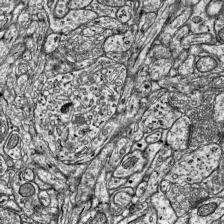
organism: Mouse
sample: Visual Cortex